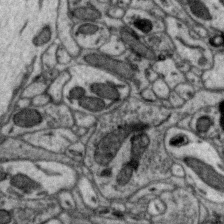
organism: Zebra finch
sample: Brain